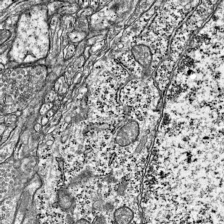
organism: Mouse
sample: Visual Cortex